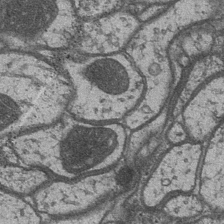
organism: Drosophila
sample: Optic medulla